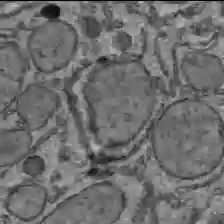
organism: C57BL Mouse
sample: Liver